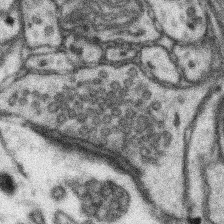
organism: Mouse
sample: Somatosensory cortex neuropil